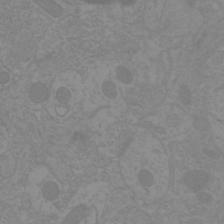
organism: Mouse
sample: Cortical neurons